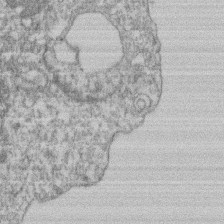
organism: Mouse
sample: T cell stromal cell synapse